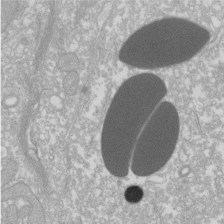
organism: Xenopus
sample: Cilia; centrioles in frog embryo cells